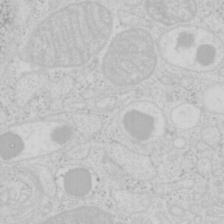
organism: Mouse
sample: Pancreas